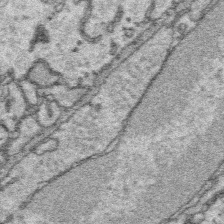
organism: Platynereis dumerilii